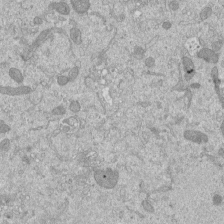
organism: Mouse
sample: ED-1 cell nuclei; centrioles